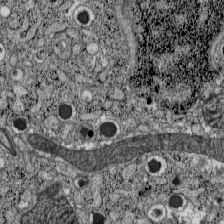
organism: C57BL Mouse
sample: Pancreatic islet